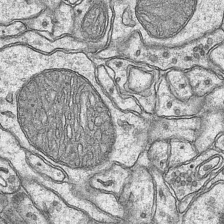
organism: Mouse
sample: CA1 Hippocampus